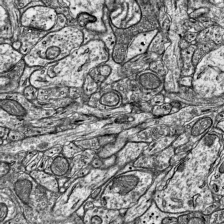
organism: Mouse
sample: Visual Cortex